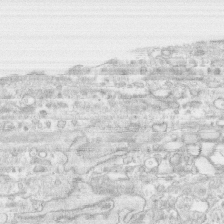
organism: Human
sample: CRL-1474